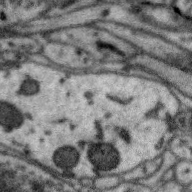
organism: Zebra finch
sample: Brain